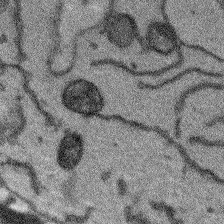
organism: Arabidopsis thaliana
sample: Root tip